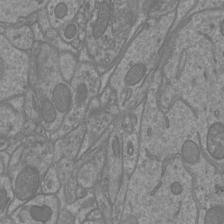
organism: Mouse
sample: Cortical neurons